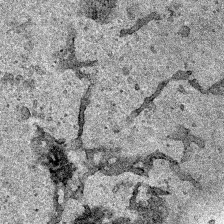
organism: Human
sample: Mitochondria in HCT116 cells